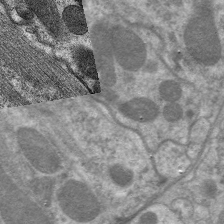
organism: C. elegans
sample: Pharynx